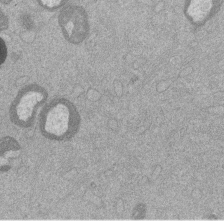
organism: Mouse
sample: Dividing mouse embryo 1 cell stage